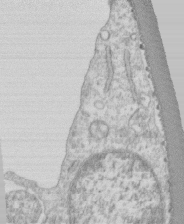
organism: Human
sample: CRL-1474